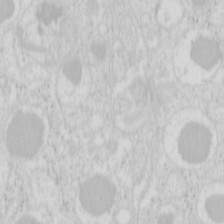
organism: Mouse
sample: Pancreas